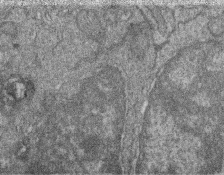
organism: Zebrafish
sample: Cilia; retinal pigment epithelium